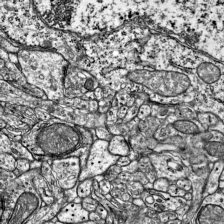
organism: Mouse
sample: Visual Cortex